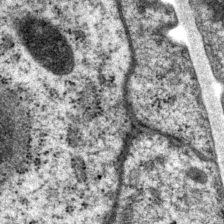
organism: P. pacificus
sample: Pharynx